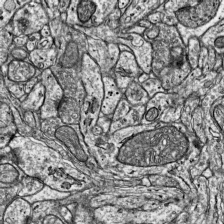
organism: Mouse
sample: Visual Cortex